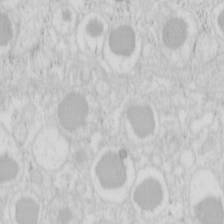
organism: Mouse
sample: Pancreas